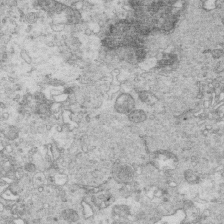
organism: Mouse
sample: Multiciliated cells